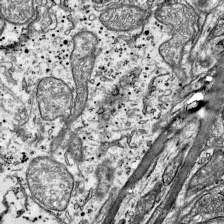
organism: Mouse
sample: Visual Cortex